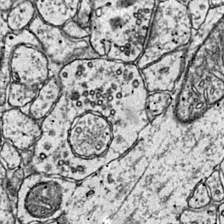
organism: Mouse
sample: Primary visual cortex